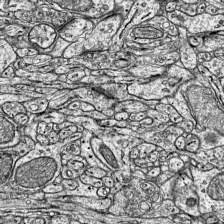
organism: Mouse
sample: Visual Cortex